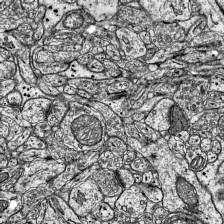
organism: Mouse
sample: Visual Cortex